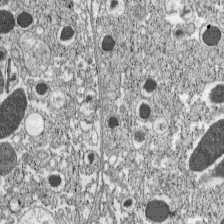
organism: C57BL Mouse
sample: Pancreatic islet